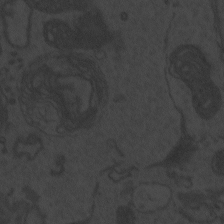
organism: Zebrafish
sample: Macrophage infected with Toxoplasma gondii